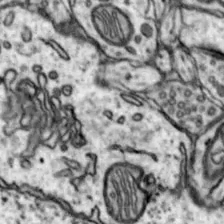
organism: Mouse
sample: Nucleus accumbens